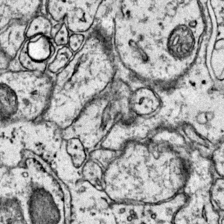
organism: Mouse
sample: Primary visual cortex